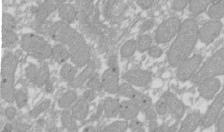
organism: Xenopus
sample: Cilia; centrioles in frog embryo cells